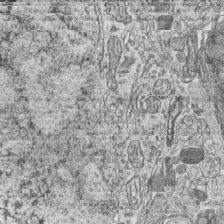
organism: Zebrafish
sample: synaptic ribbons in rod cells and cone cells